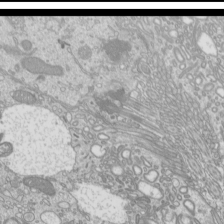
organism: Mouse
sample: Cilia; mouse epididymis